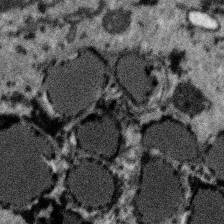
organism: Human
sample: Lung epithelial cells infected with SARS-CoV-2